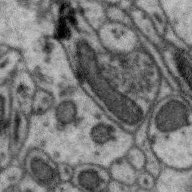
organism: Zebra finch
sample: Brain